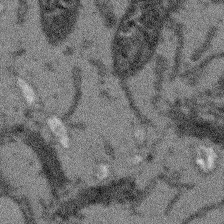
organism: Arabidopsis thaliana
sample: Root tip